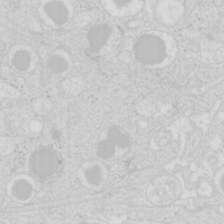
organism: Mouse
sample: Pancreas